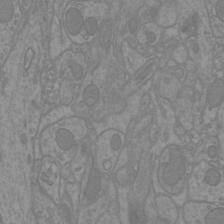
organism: Mouse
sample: Cortical neurons